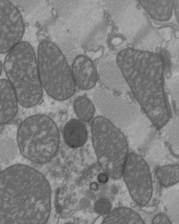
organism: C57BL Mouse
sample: Heart